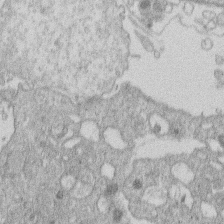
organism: Human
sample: Macrophage cells